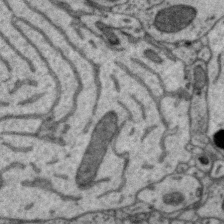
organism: Zebra finch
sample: Brain